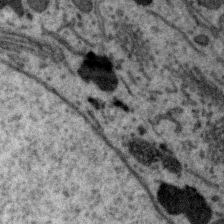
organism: Zebra finch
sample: Brain